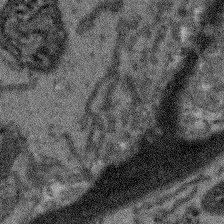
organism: Arabidopsis thaliana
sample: Root tip